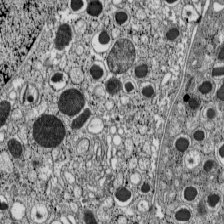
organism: C57BL Mouse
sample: Pancreatic islet